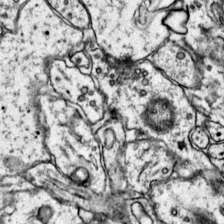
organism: Mouse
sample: Primary visual cortex